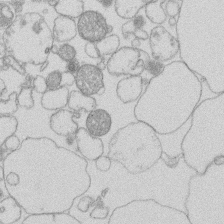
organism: Human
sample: Macrophage cells